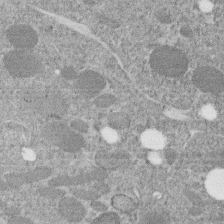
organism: C. elegans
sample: C. elegans embryo early stage